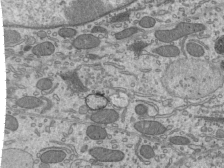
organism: Mouse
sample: Mouse epididymis efferent ductule cilia